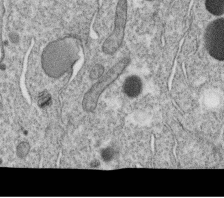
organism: C. elegans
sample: C. elegans oocyte; sperm cells